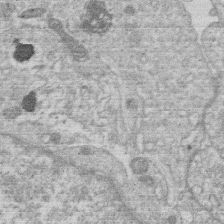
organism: Human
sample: Macrophage cells